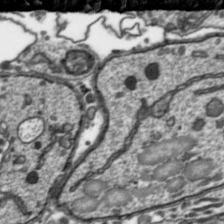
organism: Toxoplasma gondii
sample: Parasites in a vacuole inside a host cell